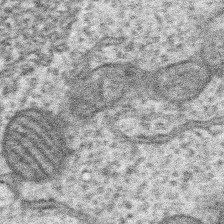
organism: Human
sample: HeLa cells